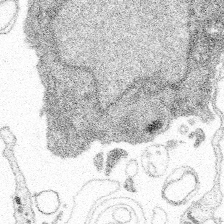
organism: Spongilla lacustris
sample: Multiple